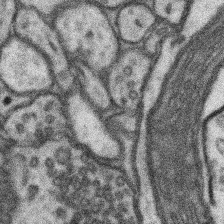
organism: Mouse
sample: Somatosensory cortex neuropil